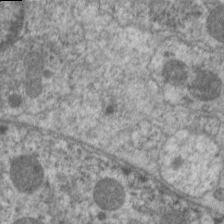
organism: C. elegans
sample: Pharynx